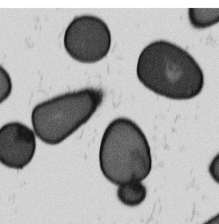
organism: B. subtilis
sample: Bacterial spore